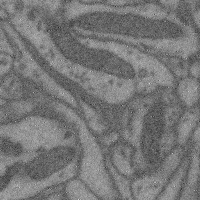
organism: Mouse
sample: Cerebral cortex